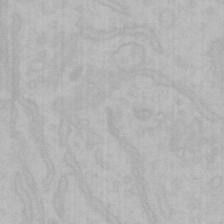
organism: Mouse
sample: Choroid plexus